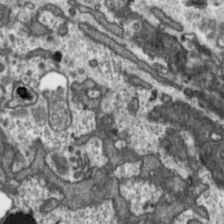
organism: Toxoplasma gondii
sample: Parasites in a vacuole inside a host cell